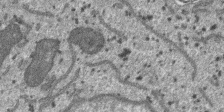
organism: Human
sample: Lung epithelial cells infected with SARS-CoV-2